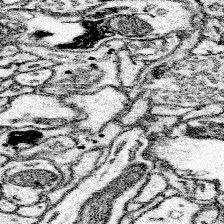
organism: Mouse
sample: Somatosensory cortex neuropil